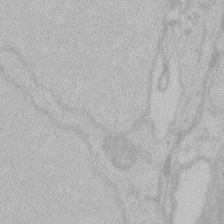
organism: Zebrafish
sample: Macrophage infected with Toxoplasma gondii